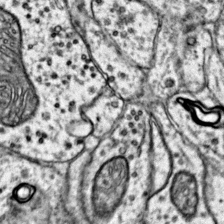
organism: Mouse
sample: Primary visual cortex